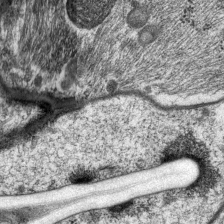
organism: P. pacificus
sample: Pharynx